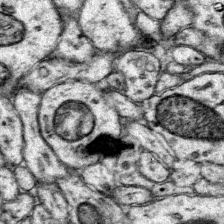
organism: Mouse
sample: Primary visual cortex